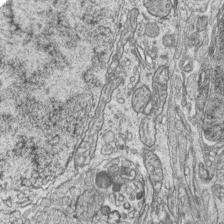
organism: Zebrafish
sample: synaptic ribbons in rod cells and cone cells